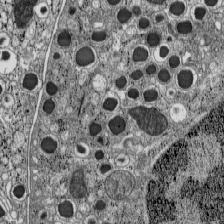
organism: C57BL Mouse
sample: Pancreatic islet